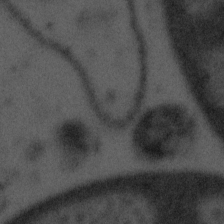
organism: Tuwongella immobilis